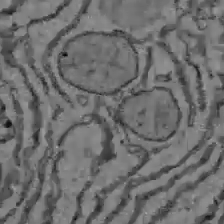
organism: C57BL Mouse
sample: Liver